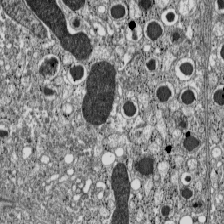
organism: C57BL Mouse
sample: Pancreatic islet